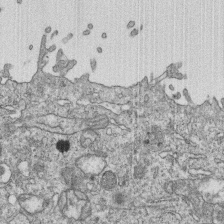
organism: Human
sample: HeLa cell HIV synapse